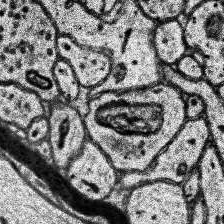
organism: Human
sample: Temporal Lobe